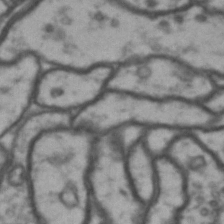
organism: Drosophila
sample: Brain